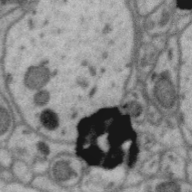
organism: Zebra finch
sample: Brain